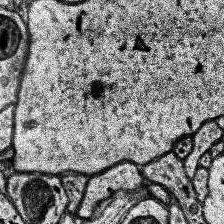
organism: Human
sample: Temporal Lobe